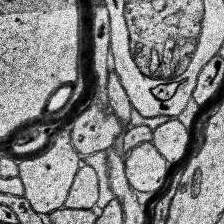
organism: Human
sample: Temporal Lobe